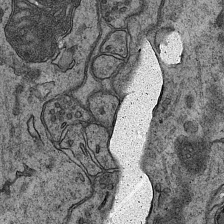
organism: Mouse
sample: CA1 Hippocampus